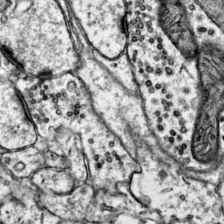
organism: Mouse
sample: Primary visual cortex